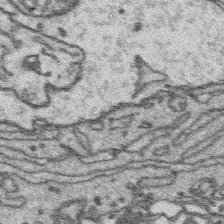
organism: Platynereis dumerilii